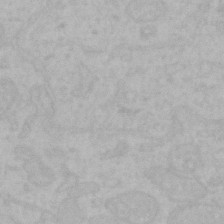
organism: Mouse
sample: Choroid plexus